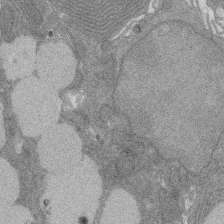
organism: Rat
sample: Salivary granule